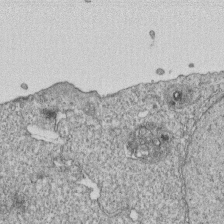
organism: Human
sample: HeLa cell HIV synapse